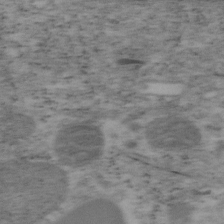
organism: Mouse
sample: OT-I killer T cells with ID8 ovarian cancer cells